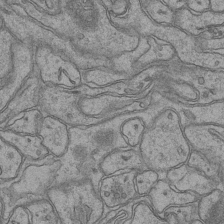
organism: Mouse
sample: CA1 Hippocampus